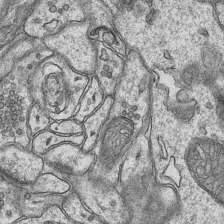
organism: Mouse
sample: CA1 Hippocampus